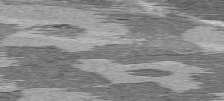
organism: C57BL Mouse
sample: Heart